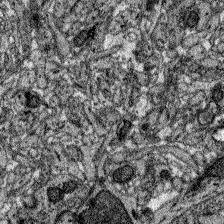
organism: Zebrafish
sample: Larval olfactory bulb